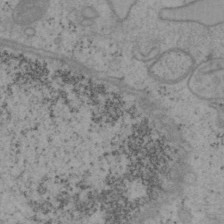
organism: Human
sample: HeLa cells